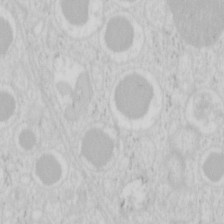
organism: Mouse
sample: Pancreas